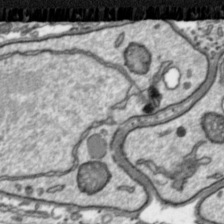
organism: Toxoplasma gondii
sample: Parasites in a vacuole inside a host cell